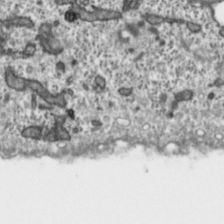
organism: Toxoplasma gondii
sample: Parasites in a vacuole inside a host cell